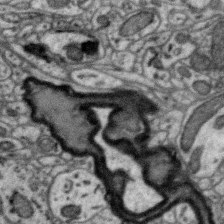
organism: Zebra finch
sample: Brain